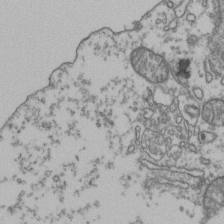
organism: Human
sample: Activated Jurkat CD4+ T cells